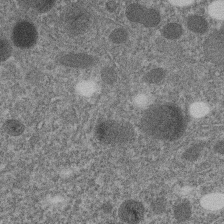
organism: C. elegans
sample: C. elegans embryo early stage